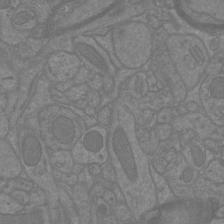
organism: Mouse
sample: Cortical neurons